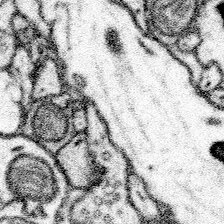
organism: Mouse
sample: Somatosensory cortex neuropil